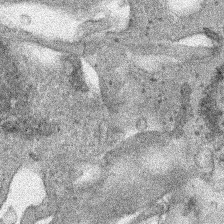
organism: Human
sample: Mitochondria in HCT116 cells